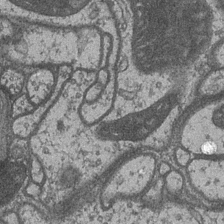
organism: Drosophila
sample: Optic medulla